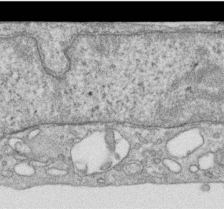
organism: Human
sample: Centriole in RPE cells